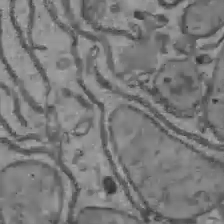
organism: C57BL Mouse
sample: Liver